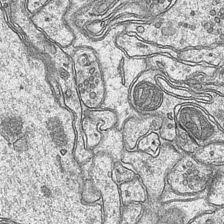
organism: Mouse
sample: CA1 Hippocampus